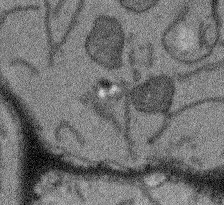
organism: Arabidopsis thaliana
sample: Root tip